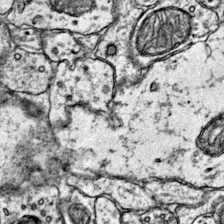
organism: Mouse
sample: Primary visual cortex